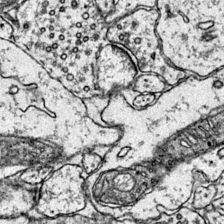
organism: Mouse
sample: Primary visual cortex